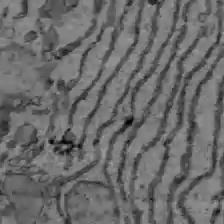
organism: C57BL Mouse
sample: Liver